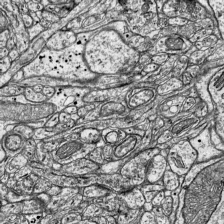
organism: Mouse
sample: Visual Cortex